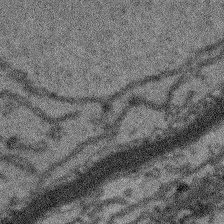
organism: Arabidopsis thaliana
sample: Root tip